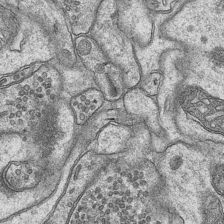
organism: Mouse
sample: CA1 Hippocampus